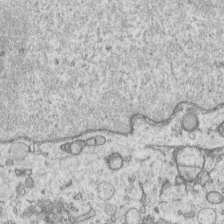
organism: Human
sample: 1205lu cells